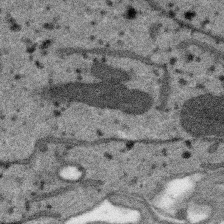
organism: Human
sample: Lung epithelial cells infected with SARS-CoV-2